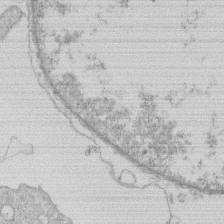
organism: Human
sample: Macrophage cells